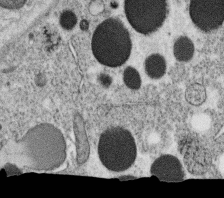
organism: C. elegans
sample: C. elegans oocyte; sperm cells